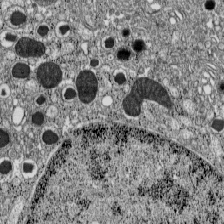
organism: C57BL Mouse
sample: Pancreatic islet